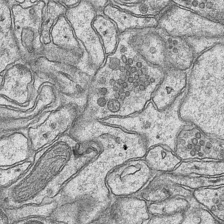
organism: Mouse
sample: CA1 Hippocampus